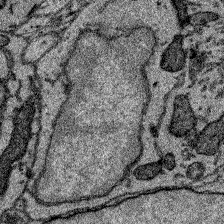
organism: Zebrafish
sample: Larval olfactory bulb